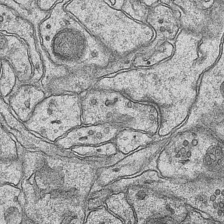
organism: Mouse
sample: CA1 Hippocampus